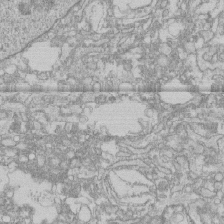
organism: Human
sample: CRL-1474